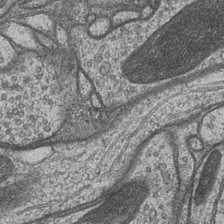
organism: Drosophila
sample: Optic medulla